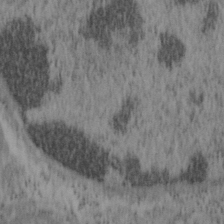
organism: Mouse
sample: OT-I killer T cells with ID8 ovarian cancer cells